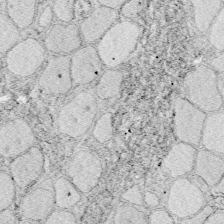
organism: Zebrafish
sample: Whole-Brain